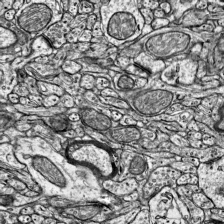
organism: Mouse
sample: Visual Cortex